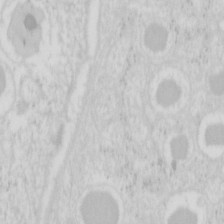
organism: Mouse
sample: Pancreas